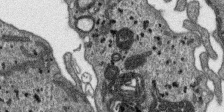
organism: Human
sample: Lung epithelial cells infected with SARS-CoV-2